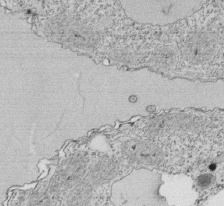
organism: Tetrahymena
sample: Cilia in tetrahymena